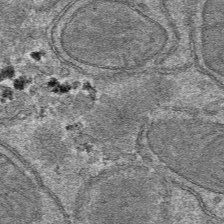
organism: Mouse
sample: Mouse hepatocytes